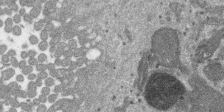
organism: Human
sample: Lung epithelial cells infected with SARS-CoV-2